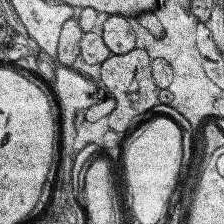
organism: Human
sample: Temporal Lobe